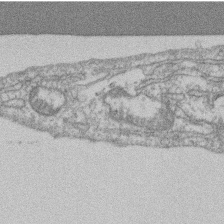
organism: Mouse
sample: T cell stromal cell synapse